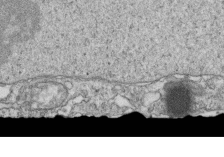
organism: Human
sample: HeLa cell HIV synapse